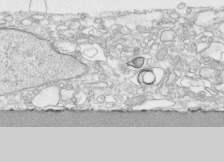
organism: Human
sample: CRL-1474